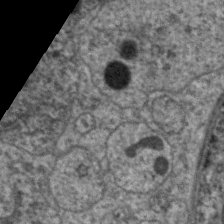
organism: C. elegans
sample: Pharynx